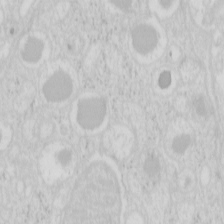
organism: Mouse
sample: Pancreas